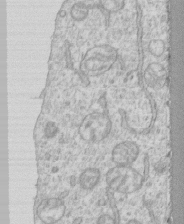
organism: Human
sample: CRL-1474